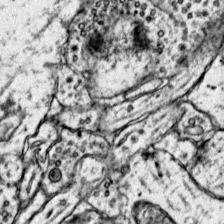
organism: Mouse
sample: Primary visual cortex